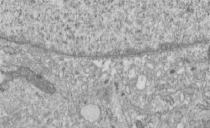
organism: Human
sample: Centriole in fibroblast cells